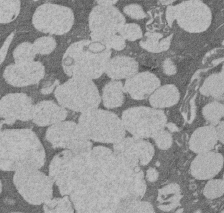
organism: Rat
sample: Salivary granule